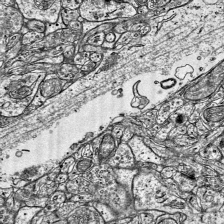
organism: Mouse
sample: Visual Cortex